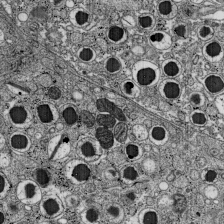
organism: C57BL Mouse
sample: Pancreatic islet